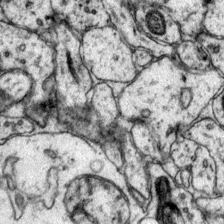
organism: Mouse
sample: Primary visual cortex